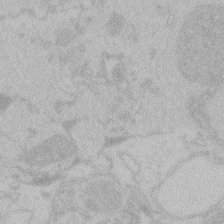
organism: Zebrafish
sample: Macrophage infected with Toxoplasma gondii